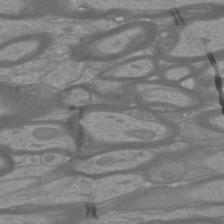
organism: Mouse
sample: Cortical neurons